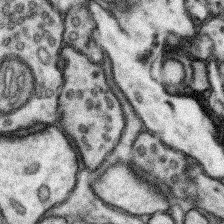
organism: Mouse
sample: Somatosensory cortex neuropil